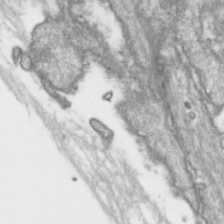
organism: Toxoplasma gondii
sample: Parasites in a vacuole inside a host cell